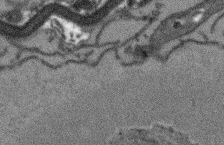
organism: Arabidopsis thaliana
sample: Root tip